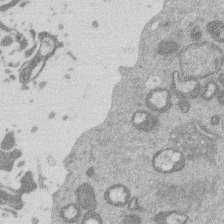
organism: Mouse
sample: Dividing mouse embryo 1 cell stage